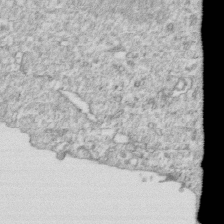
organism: Mouse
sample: Activated OT-1 CD8+ T cells